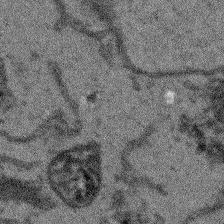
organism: Arabidopsis thaliana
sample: Root tip